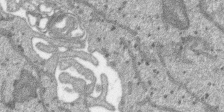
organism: Human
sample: Lung epithelial cells infected with SARS-CoV-2